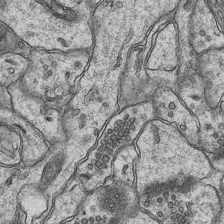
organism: Mouse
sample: CA1 Hippocampus